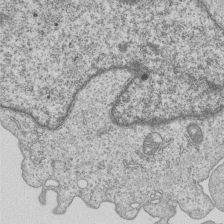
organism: Human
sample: MDA-MB-231 cells